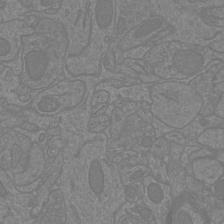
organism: Mouse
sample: Cortical neurons